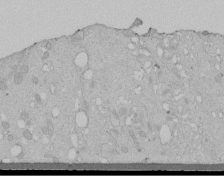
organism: Human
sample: Melanocyte Keratinocyte synapse skin construct